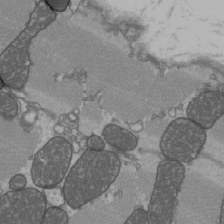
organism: C57BL Mouse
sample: Heart